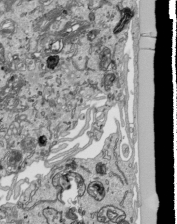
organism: Human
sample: Mitochondria in HCT116 cells